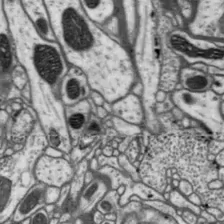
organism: Drosophila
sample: Protocerebral bridge